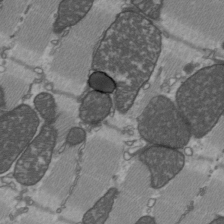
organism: C57BL Mouse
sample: Heart